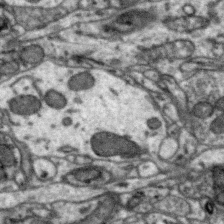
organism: Zebra finch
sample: Brain